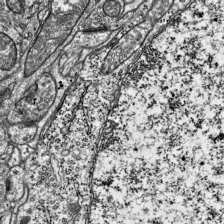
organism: Mouse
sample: Visual Cortex